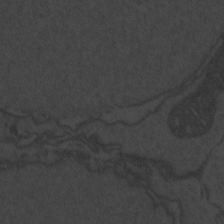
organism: Zebrafish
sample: Macrophage infected with Toxoplasma gondii